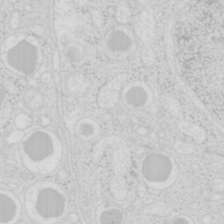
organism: Mouse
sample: Pancreas